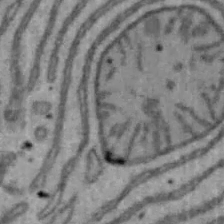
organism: Mouse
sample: Liver